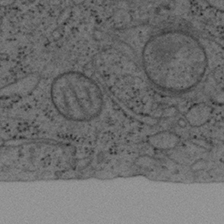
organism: Human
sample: HeLa cells